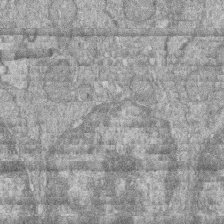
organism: Zebrafish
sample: Cilia; retinal pigment epithelium